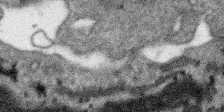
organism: Human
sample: Lung epithelial cells infected with SARS-CoV-2